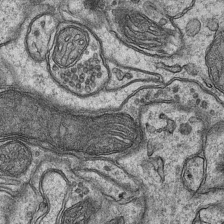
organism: Mouse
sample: CA1 Hippocampus